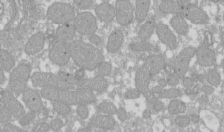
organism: Xenopus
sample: Cilia; centrioles in frog embryo cells